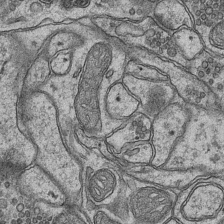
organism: Mouse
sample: CA1 Hippocampus